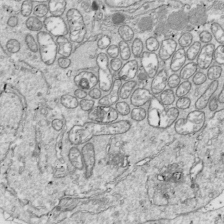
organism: Drosophila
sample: Cell division; meiosis; drosophila spermatocytes